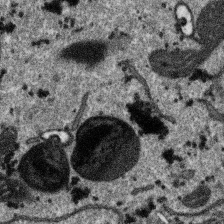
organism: Human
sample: Lung epithelial cells infected with SARS-CoV-2